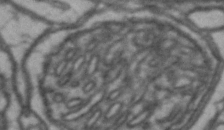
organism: Drosophila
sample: Brain